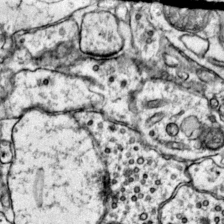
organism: Mouse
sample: Primary visual cortex